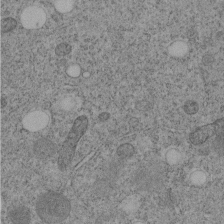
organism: C. elegans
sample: C. elegans embryo early stage